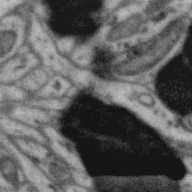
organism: Zebra finch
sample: Brain